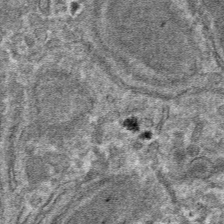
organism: Mouse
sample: Mouse hepatocytes